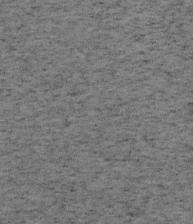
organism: Mouse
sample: OT-I killer T cells with ID8 ovarian cancer cells